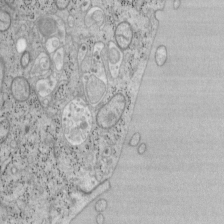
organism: Mouse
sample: OT-I killer T cells with ID8 ovarian cancer cells